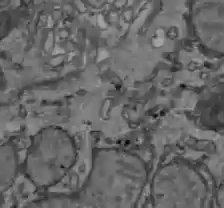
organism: C57BL Mouse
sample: Liver